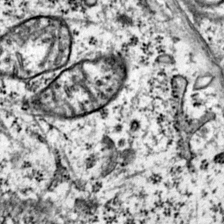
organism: Mouse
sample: Primary visual cortex